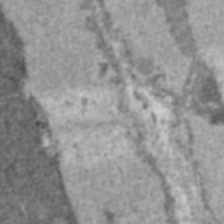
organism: C57BL Mouse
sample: Heart